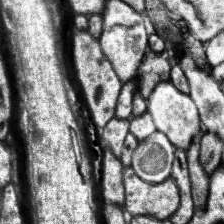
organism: Human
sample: Temporal Lobe